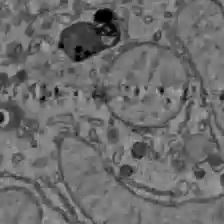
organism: C57BL Mouse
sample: Liver